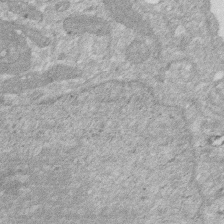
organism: Human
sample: HIV infected U937 cells